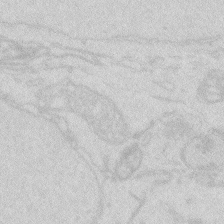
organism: Zebrafish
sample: Macrophage